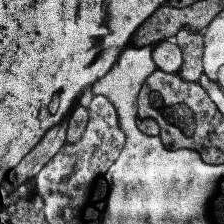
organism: Human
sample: Temporal Lobe